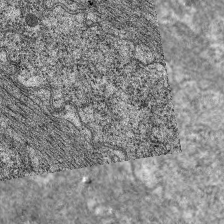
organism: C. elegans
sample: Pharynx